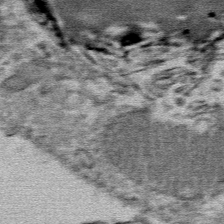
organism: Mouse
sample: Mouse Salivary gland